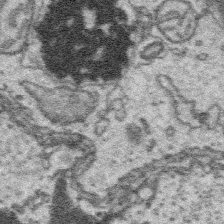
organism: Platynereis dumerilii